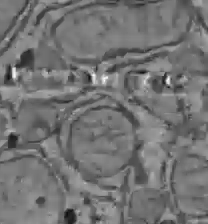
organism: C57BL Mouse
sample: Liver